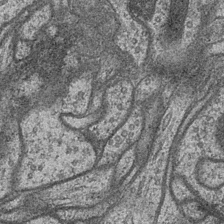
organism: Drosophila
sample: Optic medulla